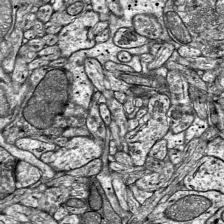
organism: Mouse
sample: Visual Cortex